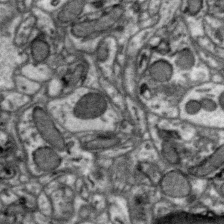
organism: Zebra finch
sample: Brain